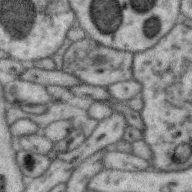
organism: Zebra finch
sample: Brain